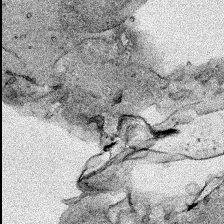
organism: Human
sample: Mitochondria in HCT116 cells